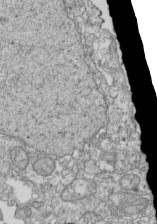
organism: Human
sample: HeLa cell HIV synapse